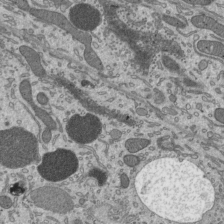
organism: Mouse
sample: Mouse epididymis efferent ductule cilia